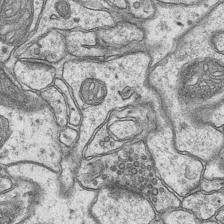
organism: Mouse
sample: CA1 Hippocampus